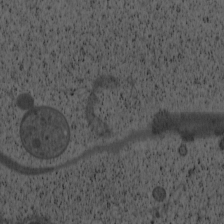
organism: African green monkey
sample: COS-7 cells